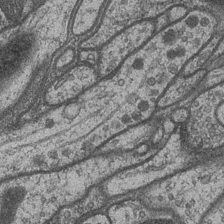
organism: Drosophila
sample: Optic medulla